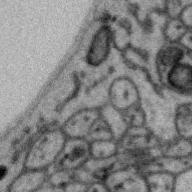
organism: Zebra finch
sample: Brain